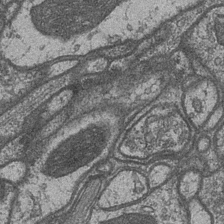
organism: Drosophila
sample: Optic medulla